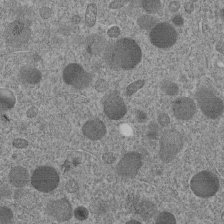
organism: C. elegans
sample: C. elegans embryo early stage